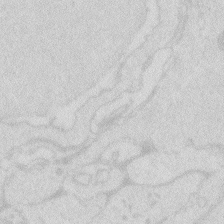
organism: Zebrafish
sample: Macrophage